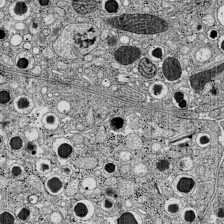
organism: C57BL Mouse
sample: Pancreatic islet